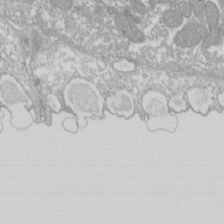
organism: Xenopus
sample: Cilia; centrioles in frog embryo cells